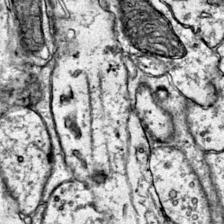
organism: Mouse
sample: Primary visual cortex